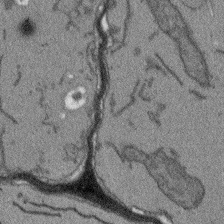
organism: Arabidopsis thaliana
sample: Root tip